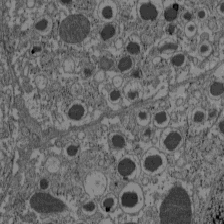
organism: C57BL Mouse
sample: Pancreatic islet